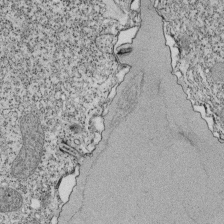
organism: Tetrahymena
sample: Cilia in tetrahymena